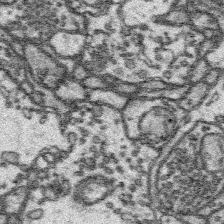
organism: Platynereis dumerilii